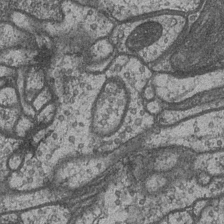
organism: Drosophila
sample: Optic medulla